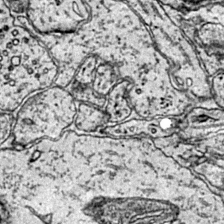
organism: Mouse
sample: Primary visual cortex